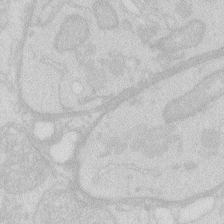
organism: Zebrafish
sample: Macrophage